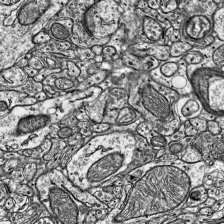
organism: Mouse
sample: Visual Cortex